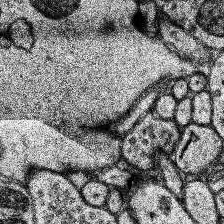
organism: Human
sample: Temporal Lobe